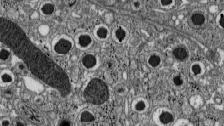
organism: C57BL Mouse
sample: Pancreatic islet